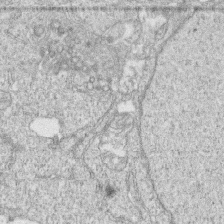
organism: Human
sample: HeLa cell HIV synapse